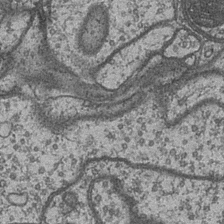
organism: Drosophila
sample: Optic medulla